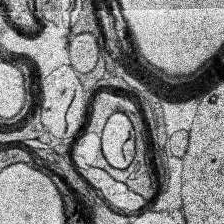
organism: Human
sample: Temporal Lobe